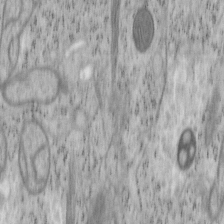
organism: Human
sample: HeLa cells